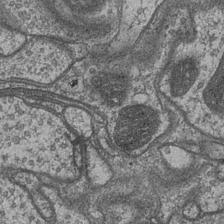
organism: Drosophila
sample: Optic medulla